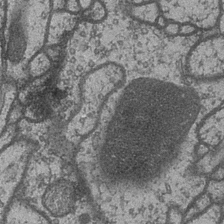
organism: Drosophila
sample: Optic medulla